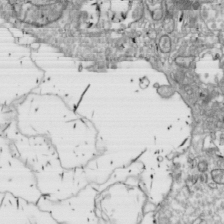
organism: Drosophila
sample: Cell division; meiosis; drosophila spermatocytes